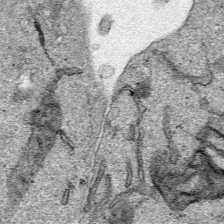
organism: Human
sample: Mitochondria in HCT116 cells